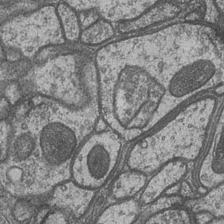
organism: Drosophila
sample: Optic medulla